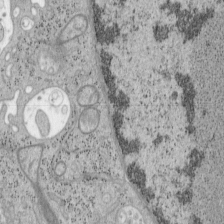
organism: Mouse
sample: OT-I killer T cells with ID8 ovarian cancer cells